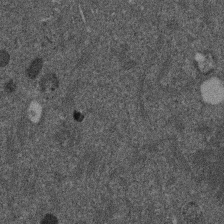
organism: Mouse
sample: Dividing mouse embryo 1 cell stage